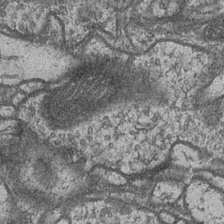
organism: Drosophila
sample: Optic medulla